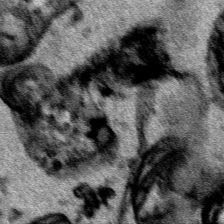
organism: Human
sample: Mitochondria in HCT116 cells